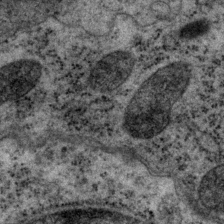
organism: P. pacificus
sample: Pharynx